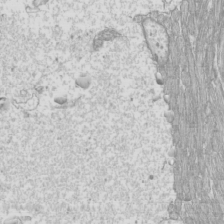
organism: Mouse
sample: Cilia; mouse epididymis